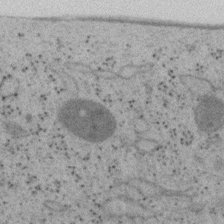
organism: Human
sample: HeLa cells